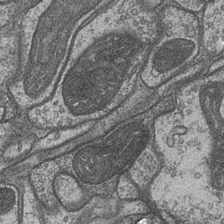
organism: Drosophila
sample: Optic medulla